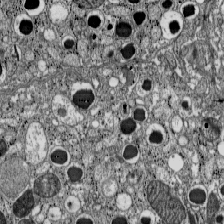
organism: C57BL Mouse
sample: Pancreatic islet